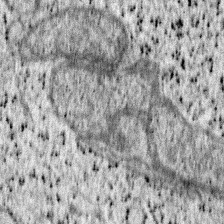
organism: Human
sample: HeLa cells